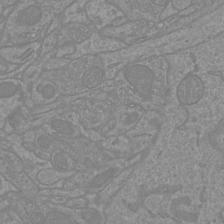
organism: Mouse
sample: Cortical neurons